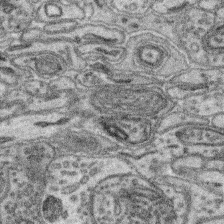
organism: Mouse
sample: Retina